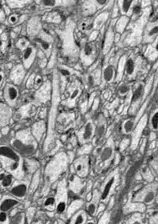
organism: Drosophila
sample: Optic lobe